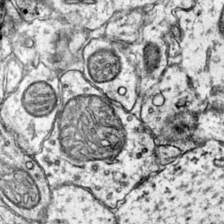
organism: Mouse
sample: Primary visual cortex